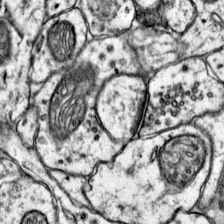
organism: Mouse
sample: Primary visual cortex